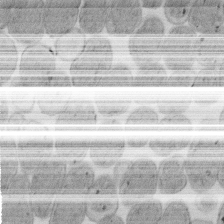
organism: E. coli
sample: Bacterial nucleoid